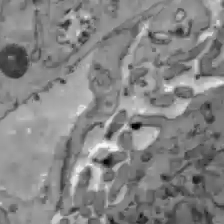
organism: C57BL Mouse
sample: Liver